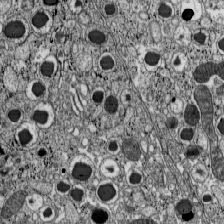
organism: C57BL Mouse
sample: Pancreatic islet